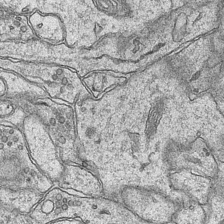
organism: Mouse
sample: CA1 Hippocampus